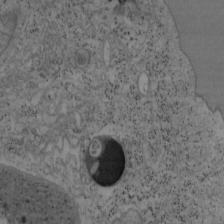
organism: Mouse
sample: OT-I killer T cells with ID8 ovarian cancer cells